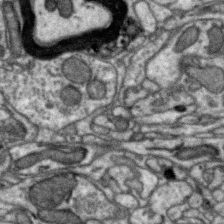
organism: Zebra finch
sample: Brain